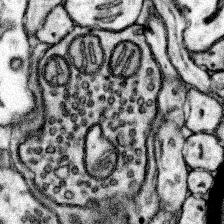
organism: Mouse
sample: Somatosensory cortex neuropil